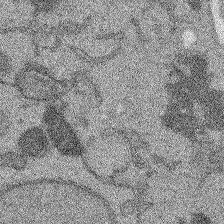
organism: Human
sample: HeLa cells